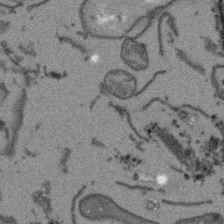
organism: Arabidopsis thaliana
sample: Root tip